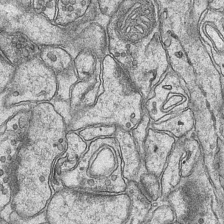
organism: Mouse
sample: CA1 Hippocampus